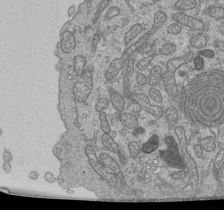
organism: Human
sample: Retinal organoid Rod and Cone cells